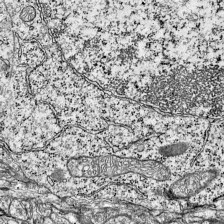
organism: Mouse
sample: Visual Cortex